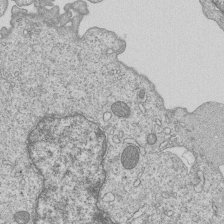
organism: Human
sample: MDA-MB-231 cells